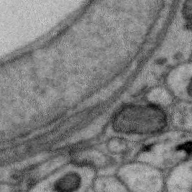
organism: Zebra finch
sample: Brain